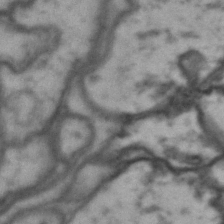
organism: Drosophila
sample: Brain